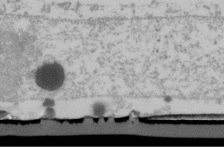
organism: Human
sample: U2-OS cells